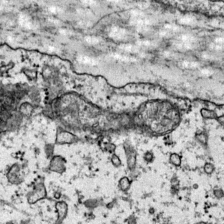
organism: Mouse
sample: Primary visual cortex